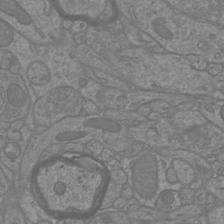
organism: Mouse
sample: Cortical neurons